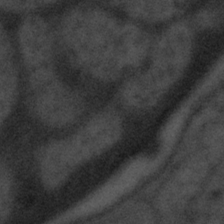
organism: Tuwongella immobilis